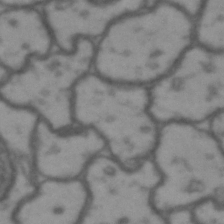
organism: Drosophila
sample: Brain